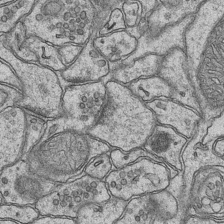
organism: Mouse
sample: CA1 Hippocampus